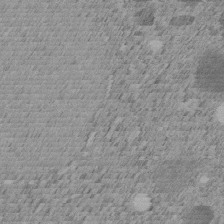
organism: C. elegans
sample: C. elegans embryo early stage